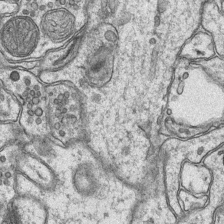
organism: Mouse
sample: CA1 Hippocampus